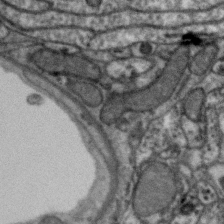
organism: Zebra finch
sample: Brain